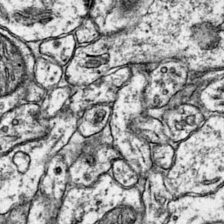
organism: Mouse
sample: Primary visual cortex